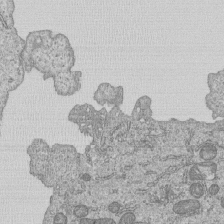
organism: Human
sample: MDA-MB-231 cells